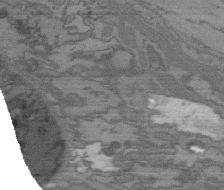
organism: C. elegans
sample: AFD neurons C. elegans